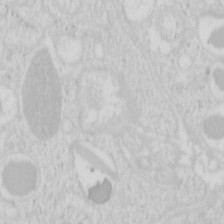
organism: Mouse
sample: Pancreas